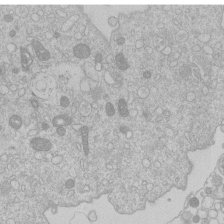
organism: Human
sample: Macrophage cells